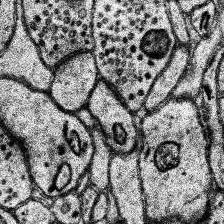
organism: Human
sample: Temporal Lobe